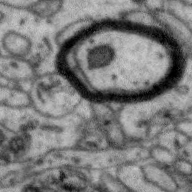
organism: Zebra finch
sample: Brain